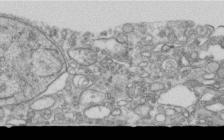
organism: Human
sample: Centriole in RPE cells